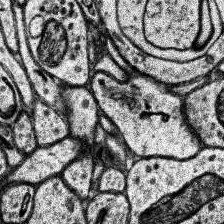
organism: Human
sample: Temporal Lobe